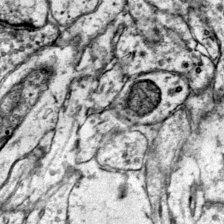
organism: Mouse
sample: Primary visual cortex